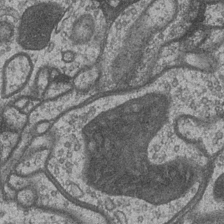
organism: Drosophila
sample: Optic medulla